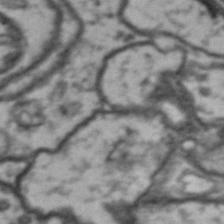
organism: Drosophila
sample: Brain